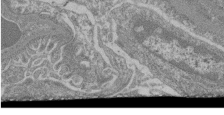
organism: Mouse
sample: Glomerulus